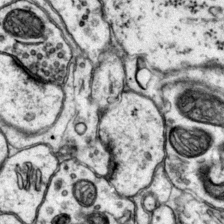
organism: Mouse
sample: Primary visual cortex